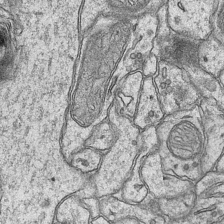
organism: Mouse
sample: CA1 Hippocampus